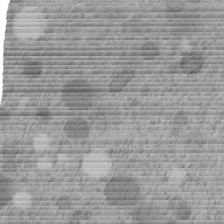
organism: C. elegans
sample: C. elegans embryo early stage